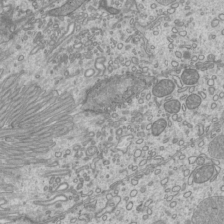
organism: Mouse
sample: Cilia; mouse epididymis